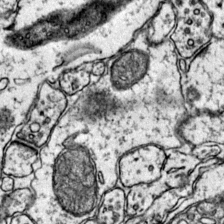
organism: Mouse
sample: Primary visual cortex